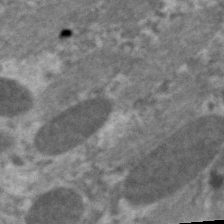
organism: C. elegans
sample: Pharynx